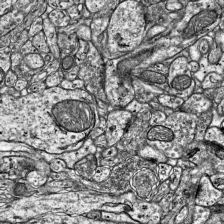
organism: Mouse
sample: Visual Cortex